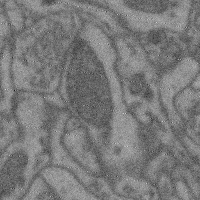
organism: Mouse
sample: Cerebral cortex